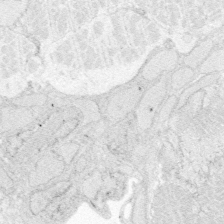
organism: Zebrafish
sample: Whole-Brain